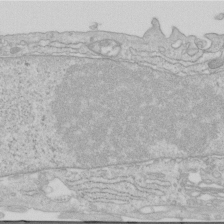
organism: Human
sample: Centriole in RPE cells